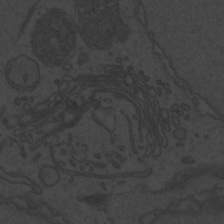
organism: Zebrafish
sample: Macrophage infected with Toxoplasma gondii